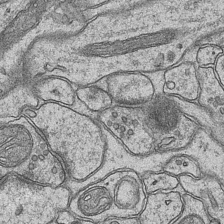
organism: Mouse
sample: CA1 Hippocampus